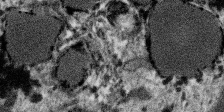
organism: Human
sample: Lung epithelial cells infected with SARS-CoV-2